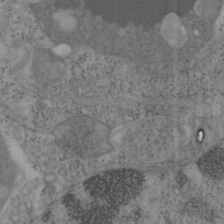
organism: Mouse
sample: OT-I killer T cells with ID8 ovarian cancer cells